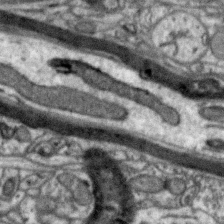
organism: Zebra finch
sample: Brain